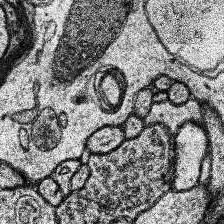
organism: Human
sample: Temporal Lobe